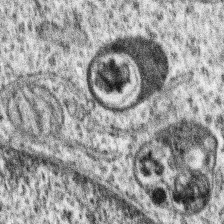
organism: Human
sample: HeLa cells